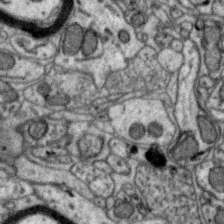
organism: Zebra finch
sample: Brain